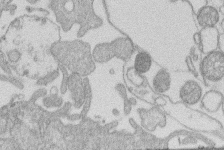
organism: Human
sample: Macrophage cells